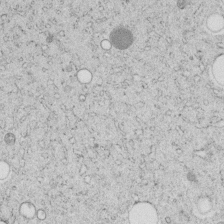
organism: C. elegans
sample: C. elegans embryo early stage